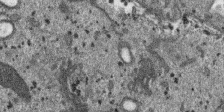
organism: Human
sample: Lung epithelial cells infected with SARS-CoV-2